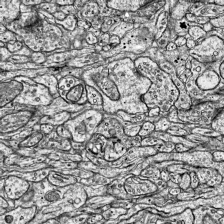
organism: Mouse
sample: Visual Cortex